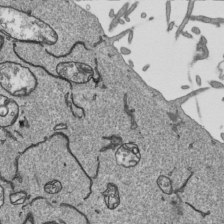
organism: Human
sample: Mitochondria in HCT116 cells